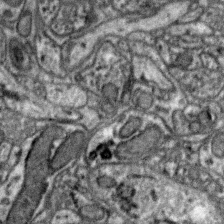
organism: Zebra finch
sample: Brain